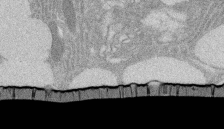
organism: Rat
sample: Salivary granule